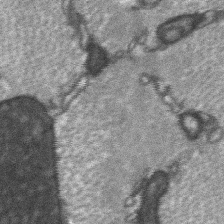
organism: C57BL Mouse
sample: Soleus